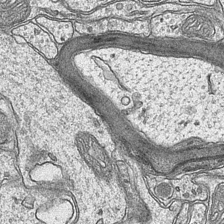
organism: Mouse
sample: CA1 Hippocampus